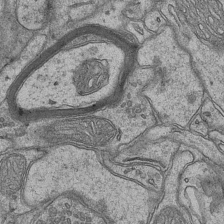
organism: Mouse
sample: CA1 Hippocampus